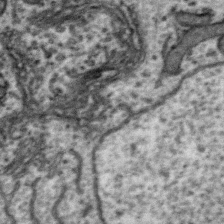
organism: Zebra finch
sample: Brain